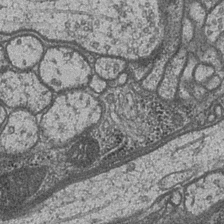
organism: Drosophila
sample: Optic medulla